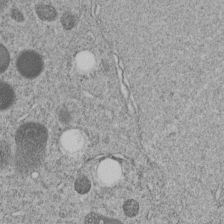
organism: C. elegans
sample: C. elegans embryo early stage